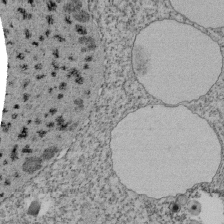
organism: Tetrahymena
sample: Cilia in tetrahymena